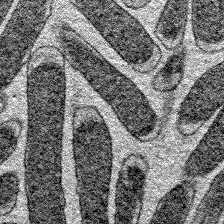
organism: E. coli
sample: E. Coli Bacteria